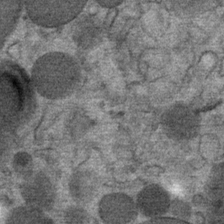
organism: Mouse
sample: Mouse Salivary gland